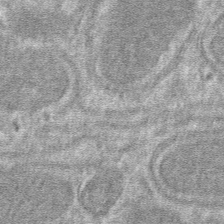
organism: Mouse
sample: Mouse hepatocytes